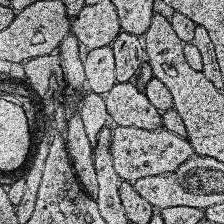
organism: Human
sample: Temporal Lobe